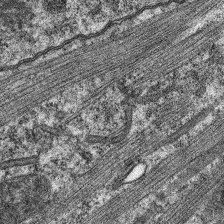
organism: C. elegans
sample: Pharynx